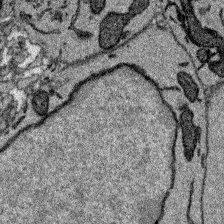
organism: Zebrafish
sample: Larval olfactory bulb